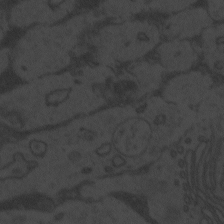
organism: Zebrafish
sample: Macrophage infected with Toxoplasma gondii